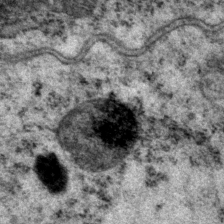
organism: P. pacificus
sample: Pharynx